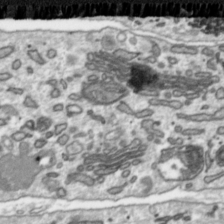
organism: Toxoplasma gondii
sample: Parasites in a vacuole inside a host cell